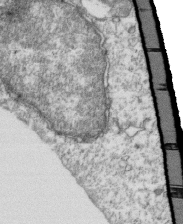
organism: Mouse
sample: Activated OT-1 CD8+ T cells